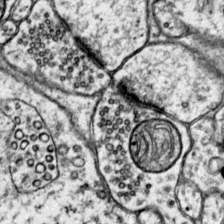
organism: Mouse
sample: Primary visual cortex